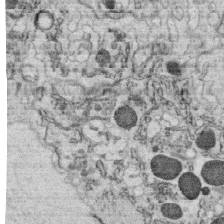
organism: C. elegans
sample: C. elegans oocyte; sperm cells